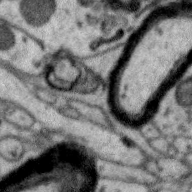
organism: Zebra finch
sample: Brain